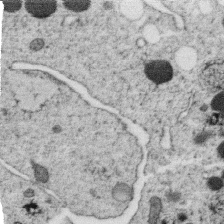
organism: C. elegans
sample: C. elegans oocyte; sperm cells